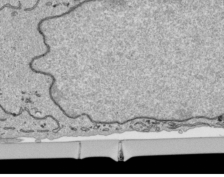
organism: Human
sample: Mitochondria in HCT116 cells